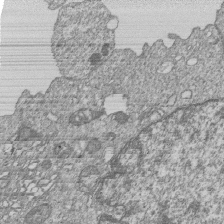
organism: Human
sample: MDA-MB-231 cells